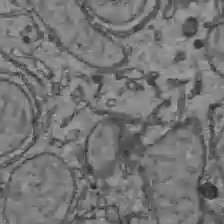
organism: C57BL Mouse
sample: Liver